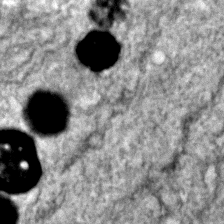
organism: Zebrafish